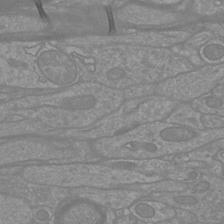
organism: Mouse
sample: Cortical neurons